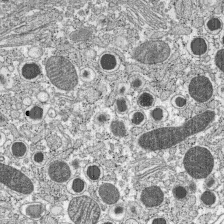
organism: C57BL Mouse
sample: Pancreatic islet